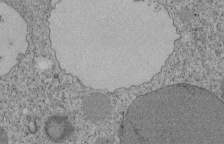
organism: Tetrahymena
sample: Cilia in tetrahymena